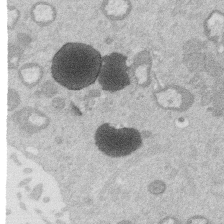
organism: Mouse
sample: Dividing mouse embryo 1 cell stage